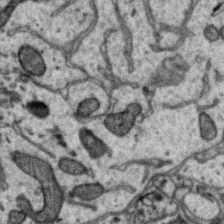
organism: Zebra finch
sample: Brain